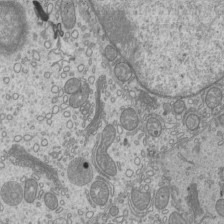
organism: Mouse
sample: Cilia; mouse epididymis